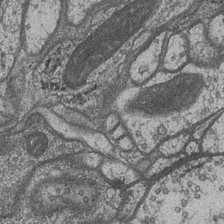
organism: Drosophila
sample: Optic medulla